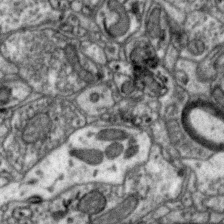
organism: Zebra finch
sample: Brain